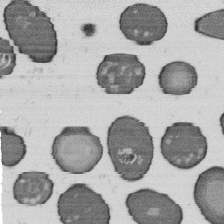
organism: B. subtilis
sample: Bacterial spore